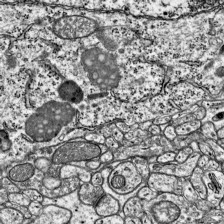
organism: Mouse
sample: Visual Cortex